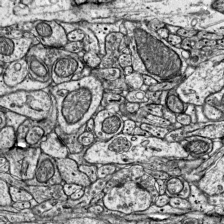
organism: Mouse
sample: Visual Cortex